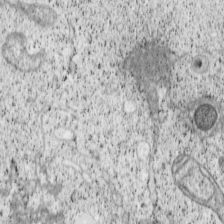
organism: African green monkey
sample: COS-7 cells